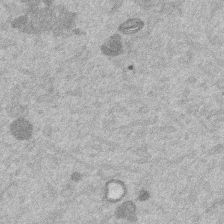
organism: Mouse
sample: Dividing mouse embryo 1 cell stage